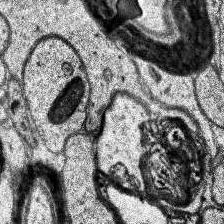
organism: Human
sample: Temporal Lobe